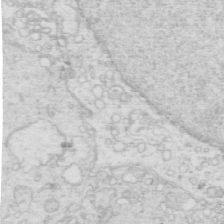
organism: Mouse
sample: Multiciliated cells